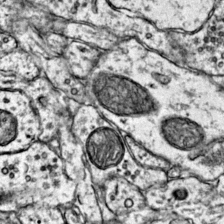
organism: Mouse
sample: Primary visual cortex